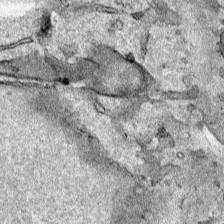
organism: Human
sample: Mitochondria in HCT116 cells